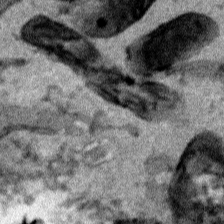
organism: Human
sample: Mitochondria in HCT116 cells